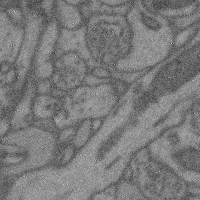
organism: Mouse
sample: Cerebral cortex